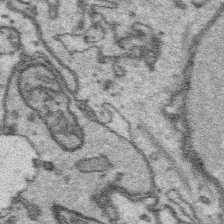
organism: Platynereis dumerilii